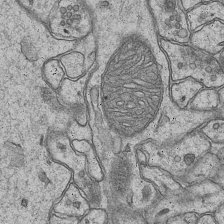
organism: Mouse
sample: CA1 Hippocampus